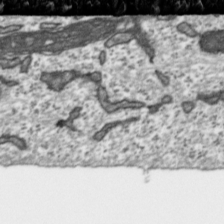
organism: Toxoplasma gondii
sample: Parasites in a vacuole inside a host cell